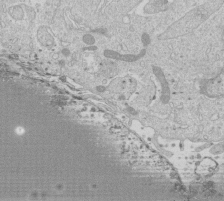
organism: Human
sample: Macrophage cells